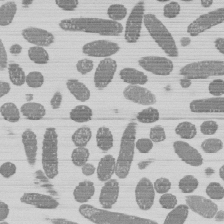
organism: E. coli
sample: Bacterial nucleoid